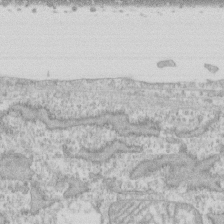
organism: Human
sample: CRL-1474